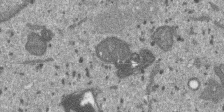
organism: Human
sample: Lung epithelial cells infected with SARS-CoV-2